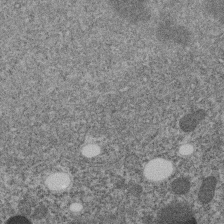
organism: C. elegans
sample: C. elegans embryo early stage